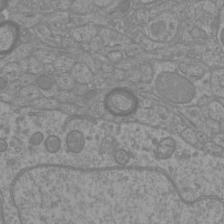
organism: Mouse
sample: Cortical neurons